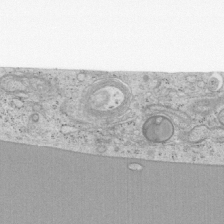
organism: Human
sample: HeLa cells